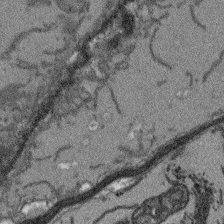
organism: Arabidopsis thaliana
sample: Root tip